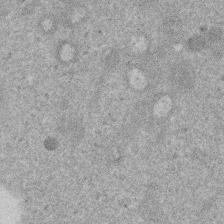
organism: Mouse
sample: Dividing mouse embryo 1 cell stage